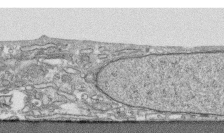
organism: Human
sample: CRL-1474